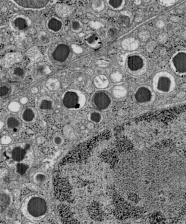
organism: C57BL Mouse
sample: Pancreatic islet